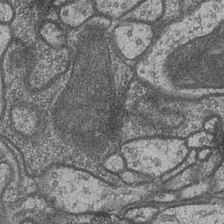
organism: Drosophila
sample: Optic medulla